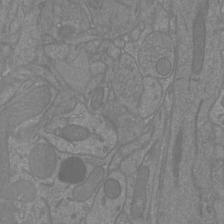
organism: Mouse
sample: Cortical neurons